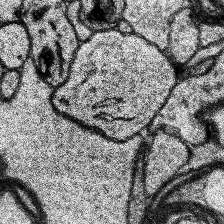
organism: Human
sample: Temporal Lobe